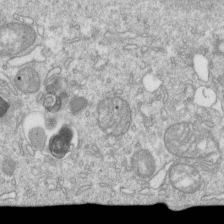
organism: Mouse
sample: Activated OT-1 CD8+ T cells